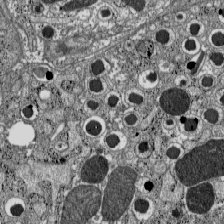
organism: C57BL Mouse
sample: Pancreatic islet